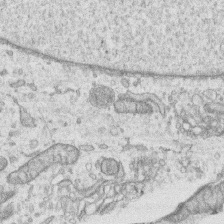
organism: Human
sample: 1205lu cells